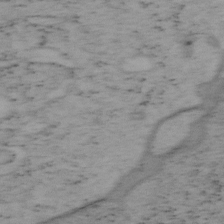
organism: Mouse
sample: OT-I killer T cells with ID8 ovarian cancer cells